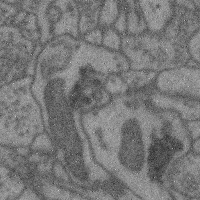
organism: Mouse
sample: Cerebral cortex